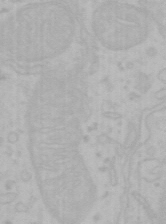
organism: Mouse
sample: Choroid plexus